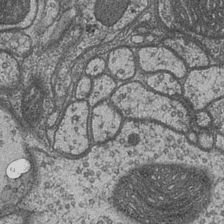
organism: Drosophila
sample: Optic medulla